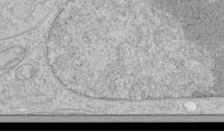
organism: Human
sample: Mitochondria in HCT116 cells